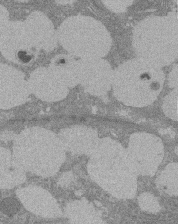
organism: Rat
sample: Salivary granule